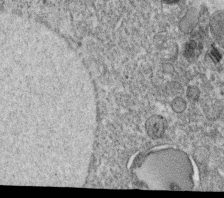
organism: C. elegans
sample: C. elegans oocyte; sperm cells